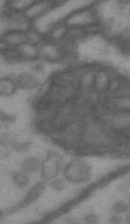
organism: Drosophila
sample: Brain